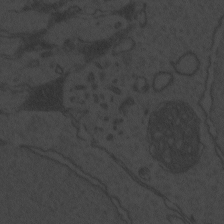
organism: Zebrafish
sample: Macrophage infected with Toxoplasma gondii